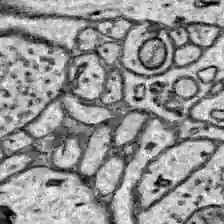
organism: Zebrafish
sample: Brain